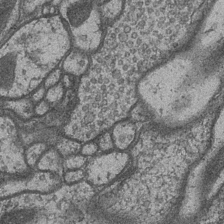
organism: Drosophila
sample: Optic medulla